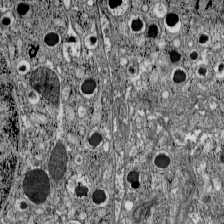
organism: C57BL Mouse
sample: Pancreatic islet